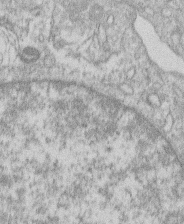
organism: Human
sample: Macrophage cells